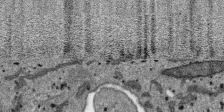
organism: Human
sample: Lung epithelial cells, uninfected (mock) control